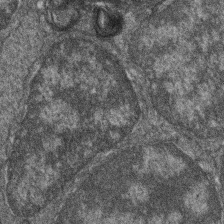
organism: Zebrafish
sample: Cilia; retinal pigment epithelium